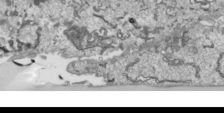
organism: Human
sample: Mitochondria in HCT116 cells